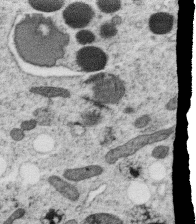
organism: C. elegans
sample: C. elegans oocyte; sperm cells